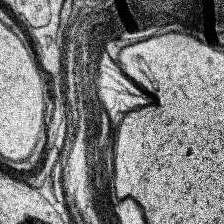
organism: Human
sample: Temporal Lobe